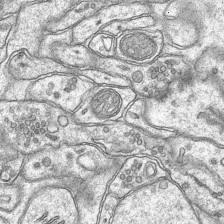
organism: Mouse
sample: CA1 Hippocampus